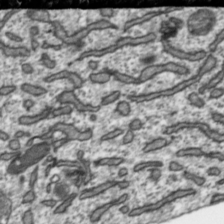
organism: Toxoplasma gondii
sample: Parasites in a vacuole inside a host cell